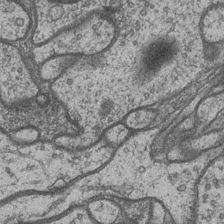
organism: Drosophila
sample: Optic medulla